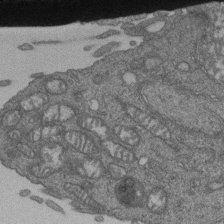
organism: Human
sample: Retinal organoid Rod and Cone cells